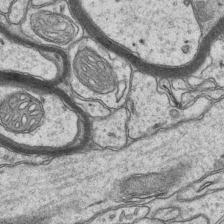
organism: Mouse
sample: CA1 Hippocampus